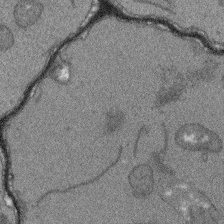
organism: Arabidopsis thaliana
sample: Root tip